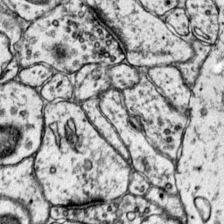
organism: Mouse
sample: Primary visual cortex